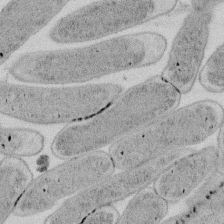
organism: E. coli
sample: Bacterial nucleoid